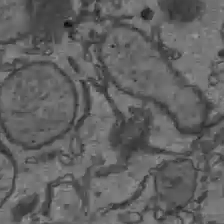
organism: C57BL Mouse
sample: Liver